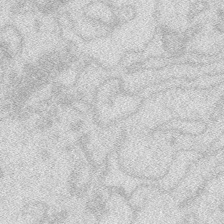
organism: Zebrafish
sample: Macrophage